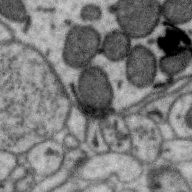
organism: Zebra finch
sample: Brain